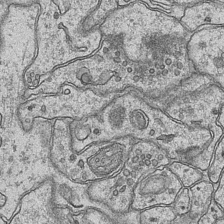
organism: Mouse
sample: CA1 Hippocampus